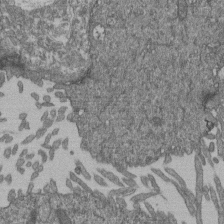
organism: Human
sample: Retinal organoid Rod and Cone cells